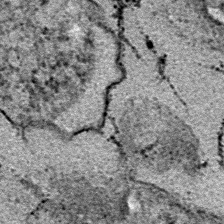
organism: E. coli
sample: E. Coli Bacteria